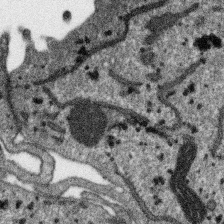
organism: Human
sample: Lung epithelial cells infected with SARS-CoV-2